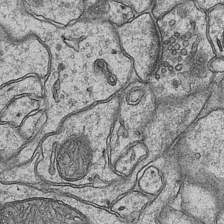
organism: Mouse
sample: CA1 Hippocampus